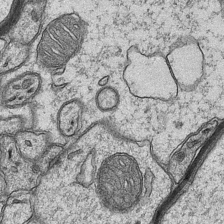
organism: Mouse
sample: CA1 Hippocampus